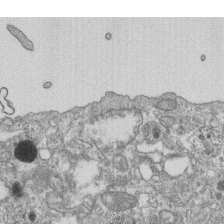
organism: Human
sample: HeLa cell HIV synapse